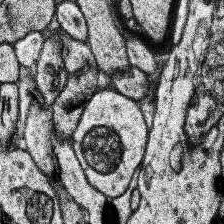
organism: Human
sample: Temporal Lobe